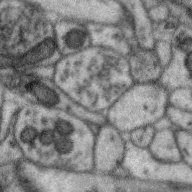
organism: Zebra finch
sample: Brain